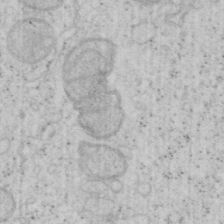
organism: Human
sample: HeLa cells